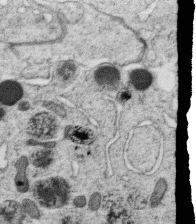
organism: C. elegans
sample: C. elegans oocyte; sperm cells